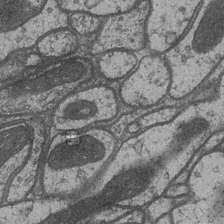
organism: Drosophila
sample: Optic medulla